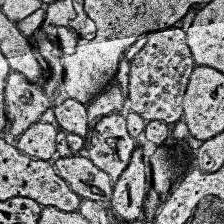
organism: Human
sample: Temporal Lobe